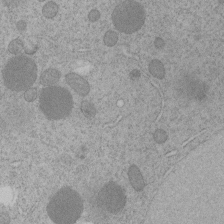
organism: C. elegans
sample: C. elegans embryo early stage